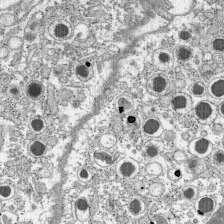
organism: C57BL Mouse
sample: Pancreatic islet